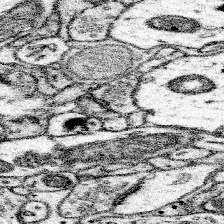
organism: Mouse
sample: Somatosensory cortex neuropil